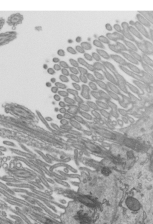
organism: Mouse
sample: Mouse epididymis efferent ductule cilia